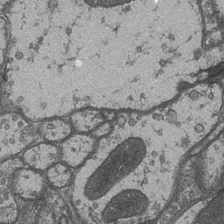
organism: Drosophila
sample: Optic medulla